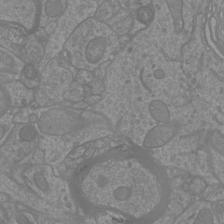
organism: Mouse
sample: Cortical neurons